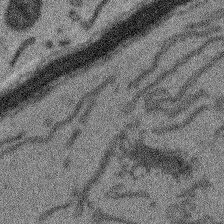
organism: Arabidopsis thaliana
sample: Root tip